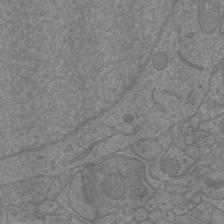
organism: Mouse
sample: Cortical neurons